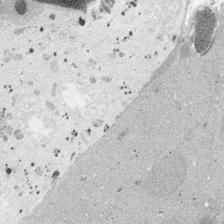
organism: Embia sp.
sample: Silk gland